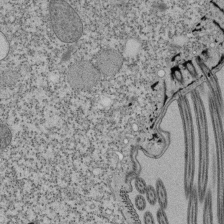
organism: Tetrahymena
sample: Cilia in tetrahymena